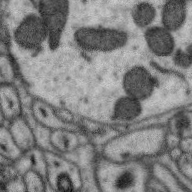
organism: Zebra finch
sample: Brain